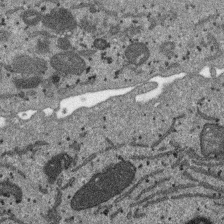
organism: Human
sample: Lung epithelial cells infected with SARS-CoV-2